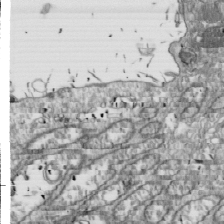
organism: Drosophila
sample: Cell division; meiosis; drosophila spermatocytes